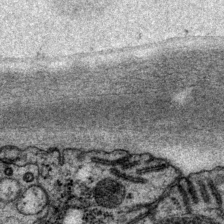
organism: P. pacificus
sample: Pharynx